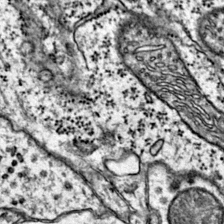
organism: Mouse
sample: Primary visual cortex